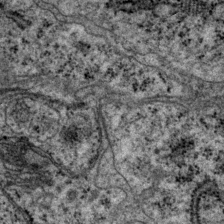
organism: P. pacificus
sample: Pharynx